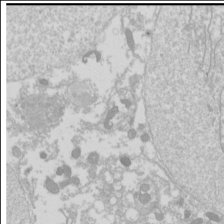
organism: Drosophila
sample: Cell division; meiosis; drosophila spermatocytes